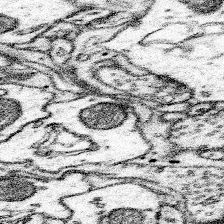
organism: Mouse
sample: Somatosensory cortex neuropil